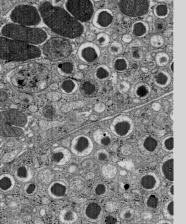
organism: C57BL Mouse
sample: Pancreatic islet